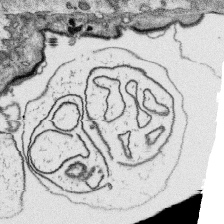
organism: Platynereis dumerilii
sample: Parapodia